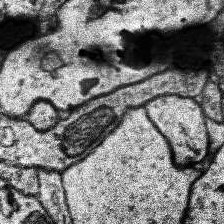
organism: Human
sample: Temporal Lobe